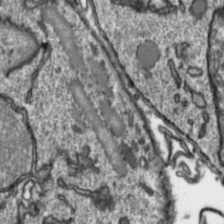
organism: Toxoplasma gondii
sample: Parasites in a vacuole inside a host cell